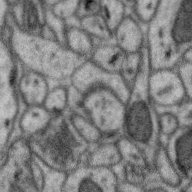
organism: Zebra finch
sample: Brain